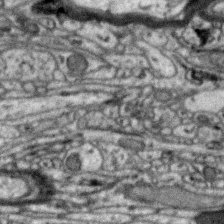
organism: Zebra finch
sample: Brain